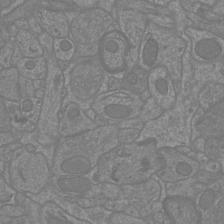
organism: Mouse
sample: Cortical neurons